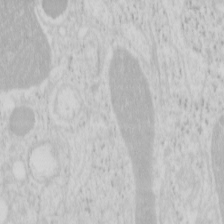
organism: Mouse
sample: Pancreas